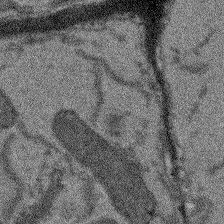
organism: Arabidopsis thaliana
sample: Root tip